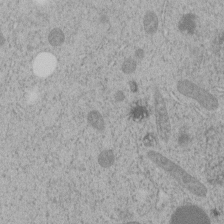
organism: C. elegans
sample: C. elegans embryo early stage